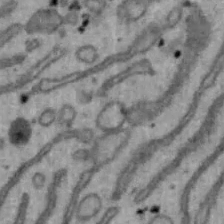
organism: Mouse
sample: Liver